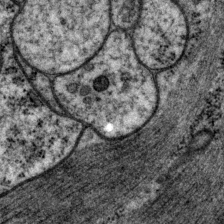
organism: P. pacificus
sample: Pharynx